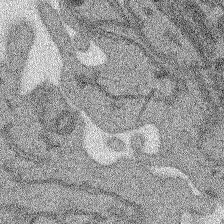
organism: Human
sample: HeLa cells